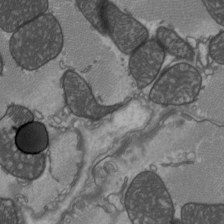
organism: C57BL Mouse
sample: Heart